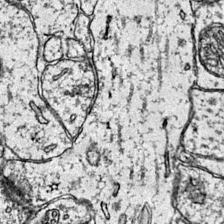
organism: Mouse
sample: Primary visual cortex